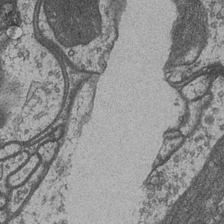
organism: Drosophila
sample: Optic medulla